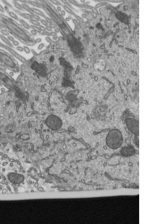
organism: Mouse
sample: Mouse epididymis efferent ductule cilia